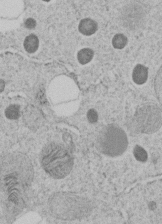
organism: C. elegans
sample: C. elegans embryo early stage